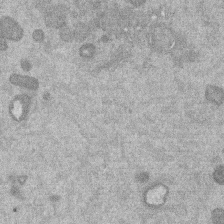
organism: Mouse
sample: Dividing mouse embryo 1 cell stage